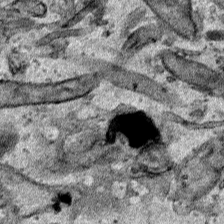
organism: Human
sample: Mitochondria in HCT116 cells